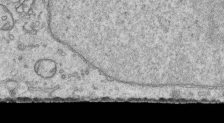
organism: Human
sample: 1205lu cells